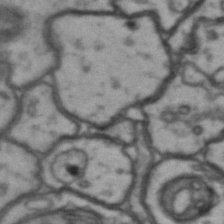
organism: Drosophila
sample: Brain